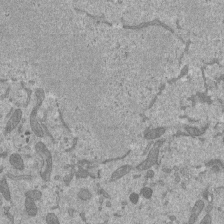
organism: Mouse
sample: ED-1 cell nuclei; centrioles